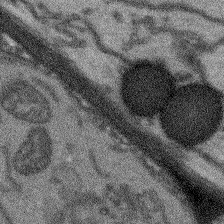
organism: Arabidopsis thaliana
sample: Root tip